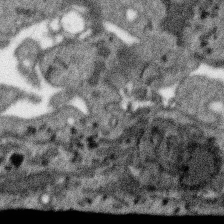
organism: Human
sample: Lung epithelial cells infected with SARS-CoV-2